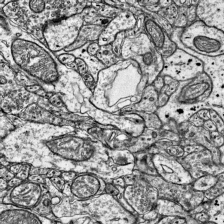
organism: Mouse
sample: Visual Cortex